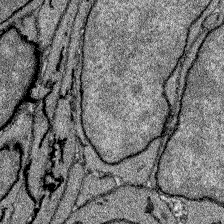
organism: Zebrafish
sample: Larval olfactory bulb